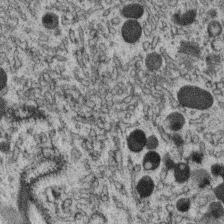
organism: C. elegans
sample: C. elegans oocyte; sperm cells